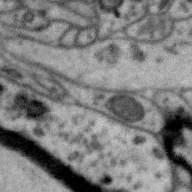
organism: Zebra finch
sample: Brain